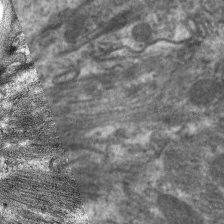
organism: C. elegans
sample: Pharynx